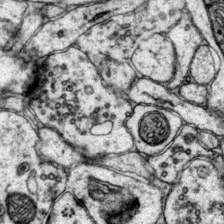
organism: Mouse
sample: Primary visual cortex